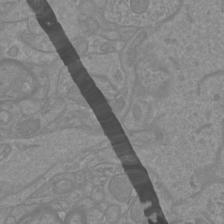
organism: Mouse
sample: Cortical neurons